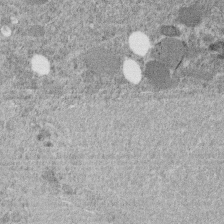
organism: C. elegans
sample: C. elegans embryo early stage